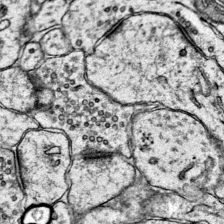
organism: Mouse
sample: Primary visual cortex